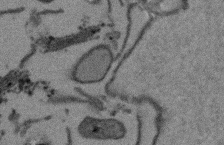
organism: Arabidopsis thaliana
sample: Root tip